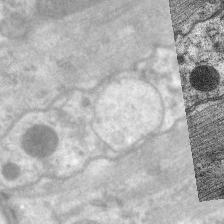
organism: C. elegans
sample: Pharynx